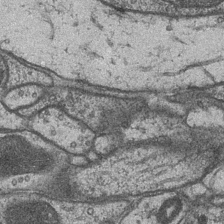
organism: Drosophila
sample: Optic medulla